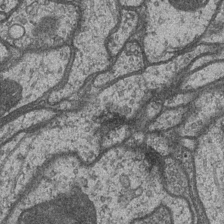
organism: Drosophila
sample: Optic medulla